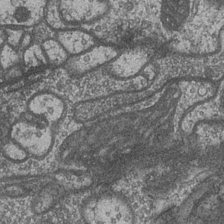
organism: Drosophila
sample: Optic medulla